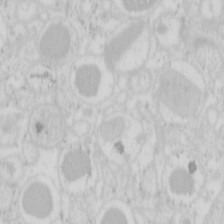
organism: Mouse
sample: Pancreas